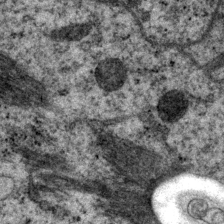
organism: P. pacificus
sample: Pharynx